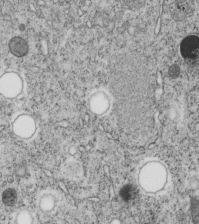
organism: C. elegans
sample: C. elegans embryo early stage